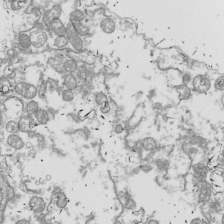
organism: Drosophila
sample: Cell division; meiosis; drosophila spermatocytes